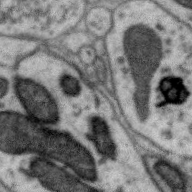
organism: Zebra finch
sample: Brain